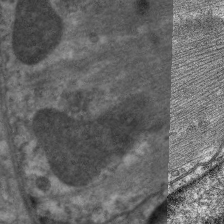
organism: C. elegans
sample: Pharynx